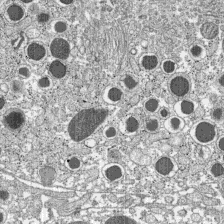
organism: C57BL Mouse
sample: Pancreatic islet